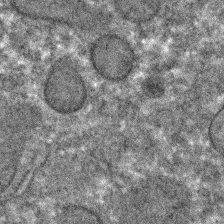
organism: C. elegans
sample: C. elegans embryo